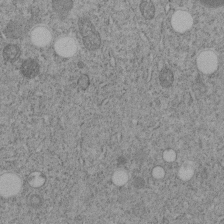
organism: C. elegans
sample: C. elegans embryo early stage